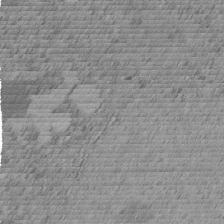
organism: C. elegans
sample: C. elegans embryo early stage